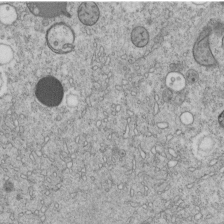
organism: C. elegans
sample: C. elegans embryo early stage